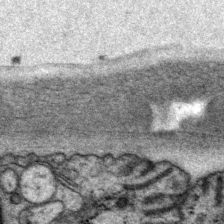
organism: P. pacificus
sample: Pharynx